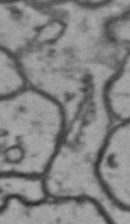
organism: Drosophila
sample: Brain